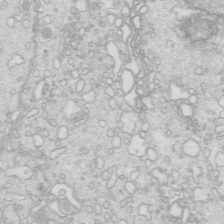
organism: Mouse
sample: Multiciliated cells